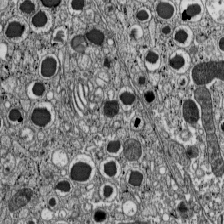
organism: C57BL Mouse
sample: Pancreatic islet